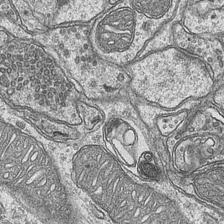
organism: Mouse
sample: CA1 Hippocampus